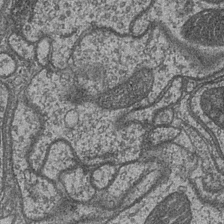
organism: Drosophila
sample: Optic medulla